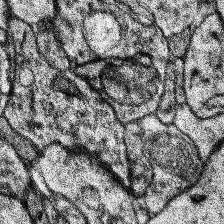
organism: Human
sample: Temporal Lobe